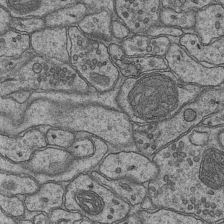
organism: Mouse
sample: CA1 Hippocampus